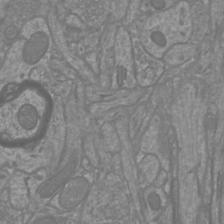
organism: Mouse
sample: Cortical neurons